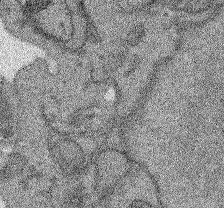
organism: Human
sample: HeLa cells